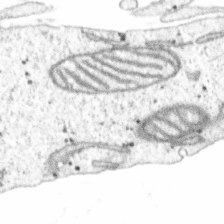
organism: Human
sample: HeLa cells